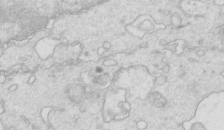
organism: Mouse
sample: Multiciliated cells